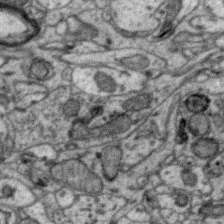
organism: Zebra finch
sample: Brain